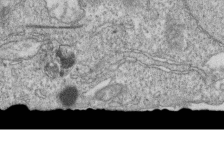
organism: Human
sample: HeLa cell HIV synapse